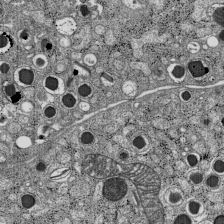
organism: C57BL Mouse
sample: Pancreatic islet